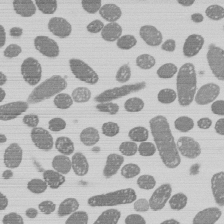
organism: E. coli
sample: Bacterial nucleoid